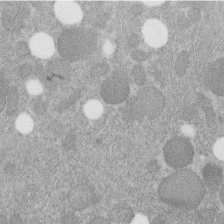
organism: C. elegans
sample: C. elegans embryo early stage